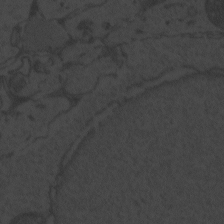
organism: Zebrafish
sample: Macrophage infected with Toxoplasma gondii